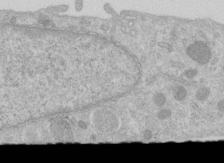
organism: Human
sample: Centriole in RPE cells